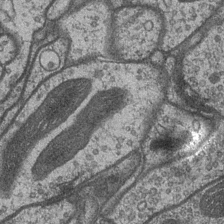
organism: Drosophila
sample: Optic medulla